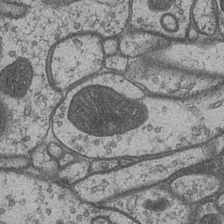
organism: Drosophila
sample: Optic medulla